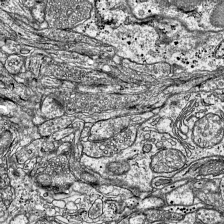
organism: Mouse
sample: Visual Cortex